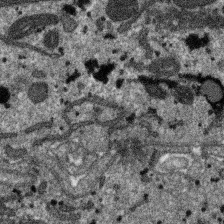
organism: Human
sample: Lung epithelial cells infected with SARS-CoV-2